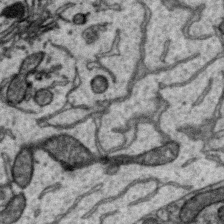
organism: Zebra finch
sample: Brain